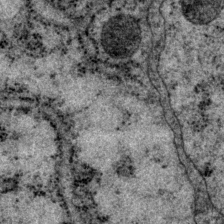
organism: P. pacificus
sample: Pharynx